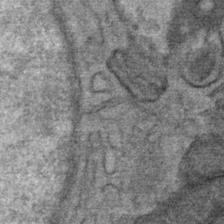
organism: Mouse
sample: Mouse Salivary gland